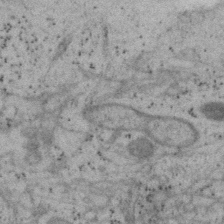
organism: Human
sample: HeLa cells